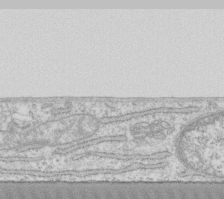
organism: Human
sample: Fibroblast cells